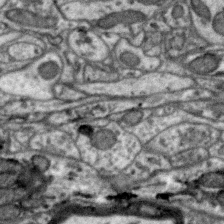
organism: Zebra finch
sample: Brain